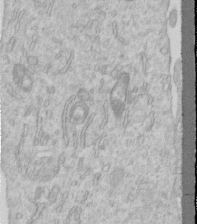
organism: Human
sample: Centriole in RPE cells